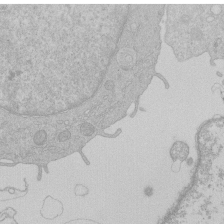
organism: Human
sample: Macrophage cells